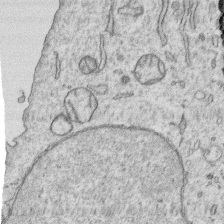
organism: Human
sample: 1205lu cells